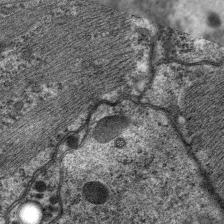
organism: C. elegans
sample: Pharynx